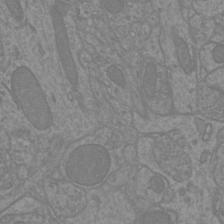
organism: Mouse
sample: Cortical neurons